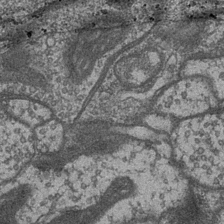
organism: Drosophila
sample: Optic medulla